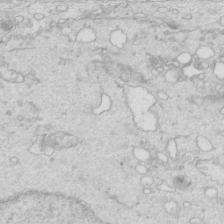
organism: Mouse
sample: Multiciliated cells